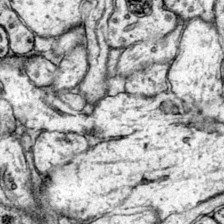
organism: Mouse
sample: Primary visual cortex